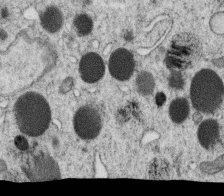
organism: C. elegans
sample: C. elegans oocyte; sperm cells